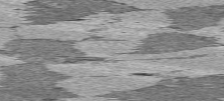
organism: C57BL Mouse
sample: Heart